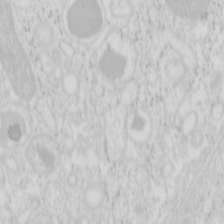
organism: Mouse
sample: Pancreas